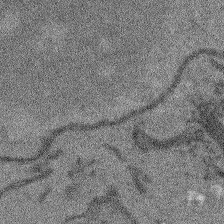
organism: Arabidopsis thaliana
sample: Root tip